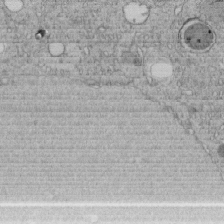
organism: C. elegans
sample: C. elegans embryo early stage